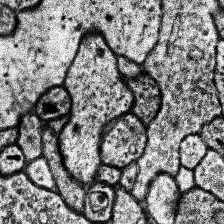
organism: Human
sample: Temporal Lobe